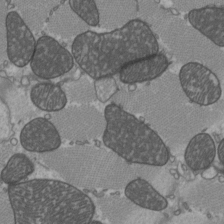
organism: C57BL Mouse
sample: Heart